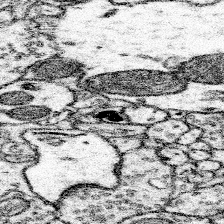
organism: Mouse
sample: Somatosensory cortex neuropil